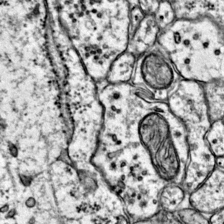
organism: Mouse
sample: Primary visual cortex